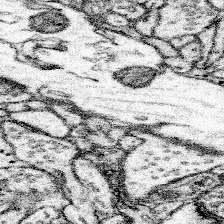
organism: Mouse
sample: Somatosensory cortex neuropil